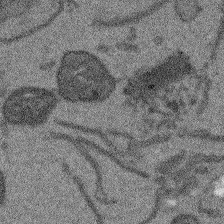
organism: Arabidopsis thaliana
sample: Root tip